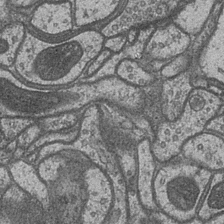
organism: Drosophila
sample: Optic medulla